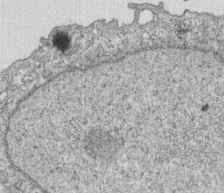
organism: Human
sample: HeLa cell HIV synapse